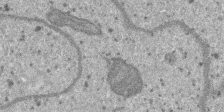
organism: Human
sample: Lung epithelial cells infected with SARS-CoV-2